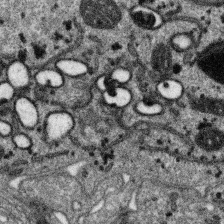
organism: Human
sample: Lung epithelial cells infected with SARS-CoV-2